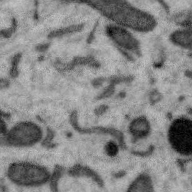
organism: Zebra finch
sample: Brain